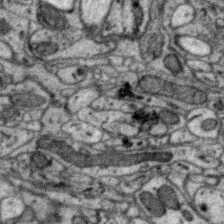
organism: Zebra finch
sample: Brain